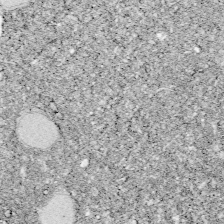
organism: Zebrafish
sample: Whole-Brain